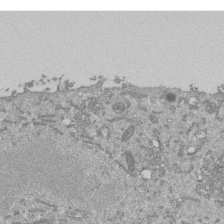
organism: Mouse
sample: ED-1 cell nuclei; centrioles